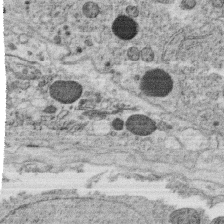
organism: C. elegans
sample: C. elegans oocyte; sperm cells